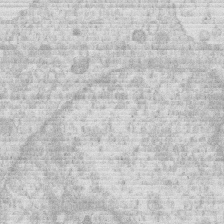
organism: Human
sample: Macrophage cells